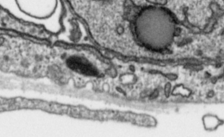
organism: Toxoplasma gondii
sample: Parasites in a vacuole inside a host cell